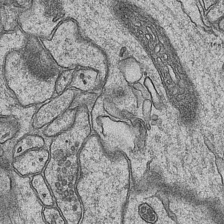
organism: Mouse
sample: CA1 Hippocampus